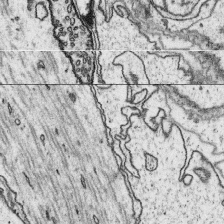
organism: Platynereis dumerilii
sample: Parapodia